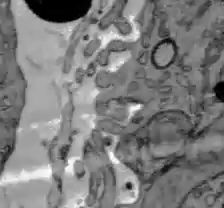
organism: C57BL Mouse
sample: Liver